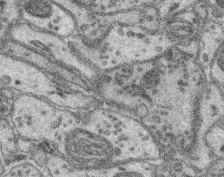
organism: Mouse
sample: Retina